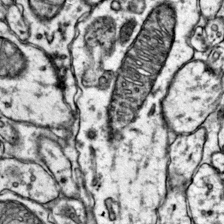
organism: Mouse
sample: Primary visual cortex